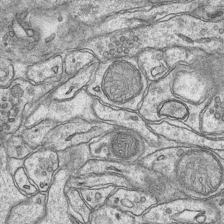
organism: Mouse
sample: CA1 Hippocampus